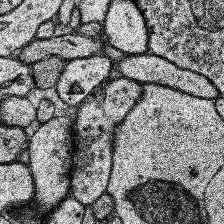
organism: Human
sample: Temporal Lobe